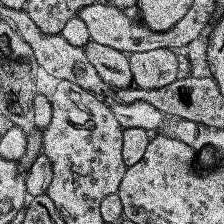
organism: Human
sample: Temporal Lobe